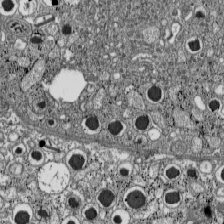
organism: C57BL Mouse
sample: Pancreatic islet